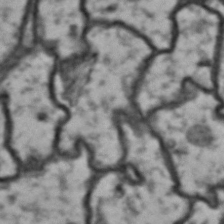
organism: Drosophila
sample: Brain